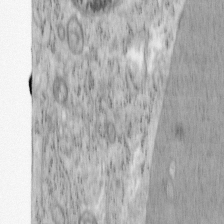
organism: Human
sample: HeLa cells